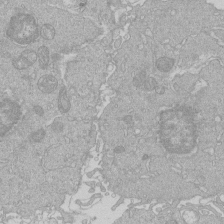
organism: Human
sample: Macrophage cells